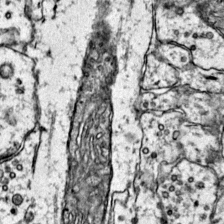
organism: Mouse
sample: Primary visual cortex